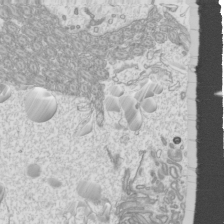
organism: Mouse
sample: Cilia; mouse epididymis